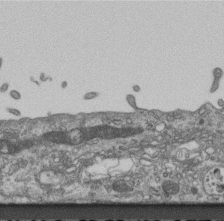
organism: Mouse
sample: Centriole in ependymal cells